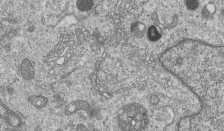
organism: Human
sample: MDA-MB-231 cells